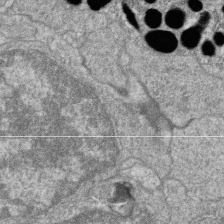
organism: Zebrafish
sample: Cilia; retinal pigment epithelium